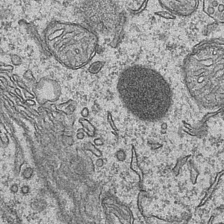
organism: Mouse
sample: CA1 Hippocampus